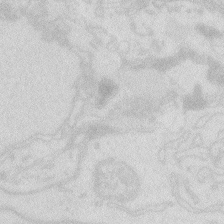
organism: Zebrafish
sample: Macrophage